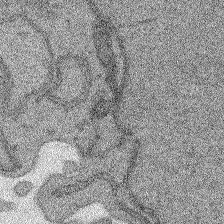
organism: Human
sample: HeLa cells